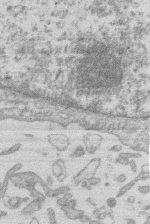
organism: Human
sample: Macrophage cells